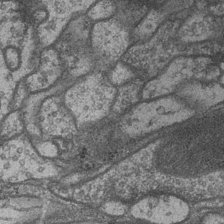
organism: Drosophila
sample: Optic medulla